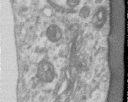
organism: Human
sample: Centriole in RPE cells